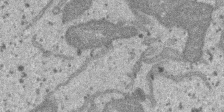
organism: Human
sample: Lung epithelial cells infected with SARS-CoV-2